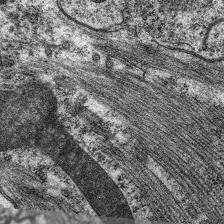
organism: C. elegans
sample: Pharynx